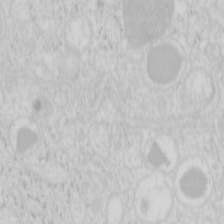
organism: Mouse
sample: Pancreas